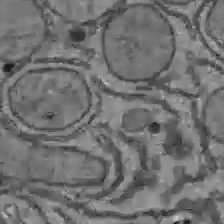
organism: C57BL Mouse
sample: Liver